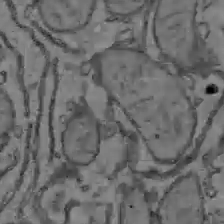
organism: C57BL Mouse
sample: Liver